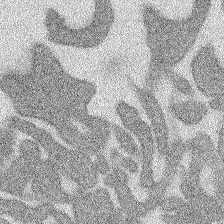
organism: Human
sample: HeLa cells